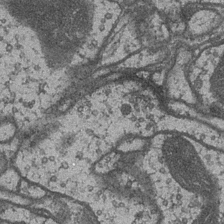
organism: Drosophila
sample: Optic medulla